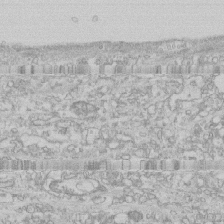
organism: Human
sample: CRL-1474